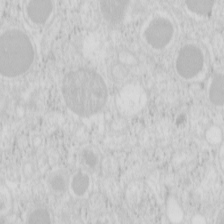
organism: Mouse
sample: Pancreas